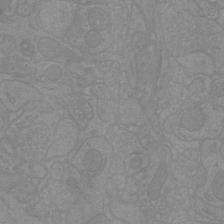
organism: Mouse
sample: Cortical neurons